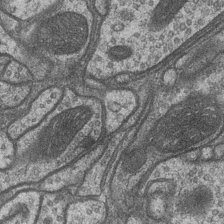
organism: Drosophila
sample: Optic medulla